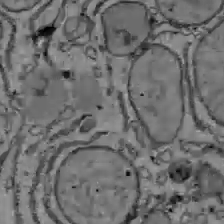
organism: C57BL Mouse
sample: Liver